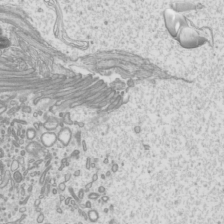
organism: Mouse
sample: Cilia; mouse epididymis